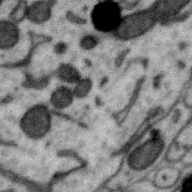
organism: Zebra finch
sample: Brain